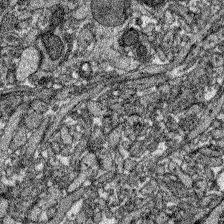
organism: Zebrafish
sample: Larval olfactory bulb